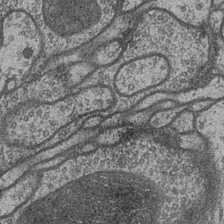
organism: Drosophila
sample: Optic medulla